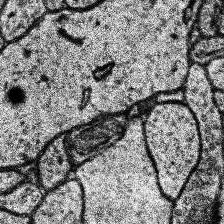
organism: Human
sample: Temporal Lobe